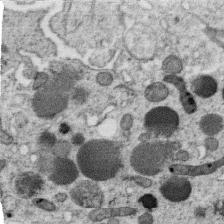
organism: C. elegans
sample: C. elegans oocyte; sperm cells